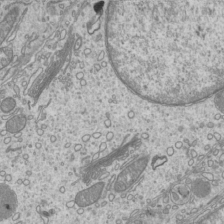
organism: Mouse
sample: Cilia; mouse epididymis